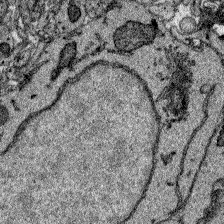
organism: Zebrafish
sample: Larval olfactory bulb